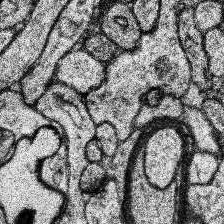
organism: Human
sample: Temporal Lobe